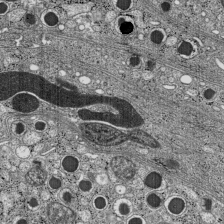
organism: C57BL Mouse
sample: Pancreatic islet